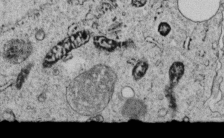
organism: C. elegans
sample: C. elegans embryo early stage